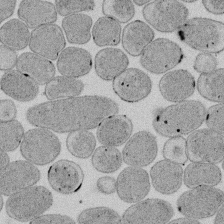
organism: E. coli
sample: Bacterial nucleoid